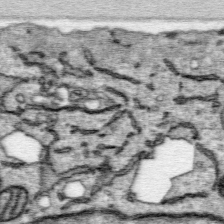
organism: Human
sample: HeLa cells